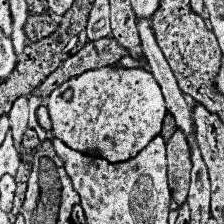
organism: Human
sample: Temporal Lobe